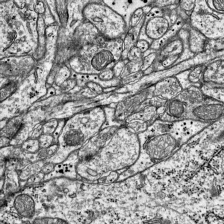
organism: Mouse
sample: Visual Cortex